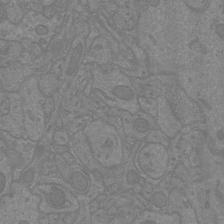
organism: Mouse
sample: Cortical neurons